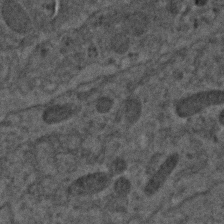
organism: C. elegans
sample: C. elegans embryo